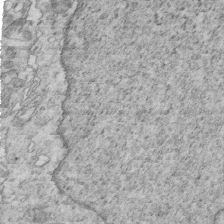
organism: Mouse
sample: Multiciliated cells